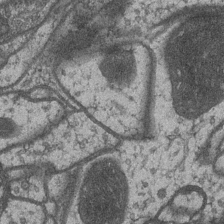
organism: Drosophila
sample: Optic medulla